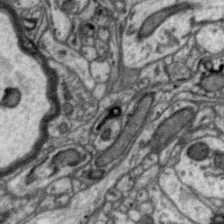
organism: Zebra finch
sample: Brain